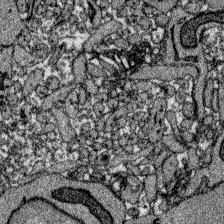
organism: Zebrafish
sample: Larval olfactory bulb